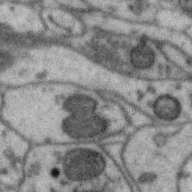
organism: Zebra finch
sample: Brain